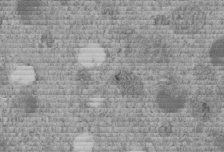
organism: C. elegans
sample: C. elegans embryo early stage